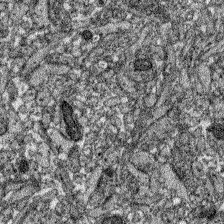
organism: Zebrafish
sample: Larval olfactory bulb